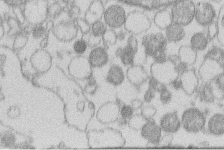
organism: Human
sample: Macrophage cells